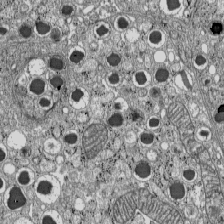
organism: C57BL Mouse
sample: Pancreatic islet